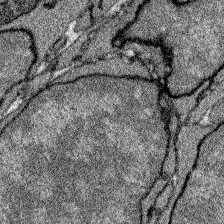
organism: Zebrafish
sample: Larval olfactory bulb